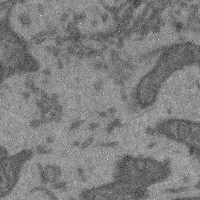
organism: Mouse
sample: Cerebral cortex